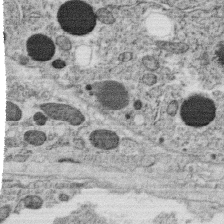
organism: C. elegans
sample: C. elegans oocyte; sperm cells